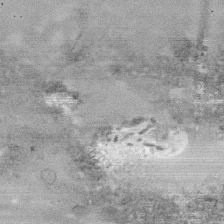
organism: Human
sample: CRL-1474